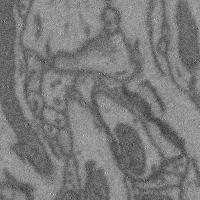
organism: Mouse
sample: Cerebral cortex